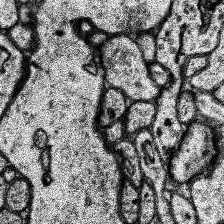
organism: Human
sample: Temporal Lobe